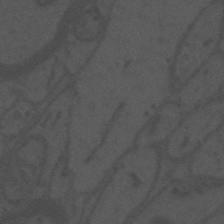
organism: Mouse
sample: Suprachiasmatic nucleus